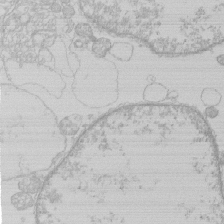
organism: Human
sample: Macrophage cells